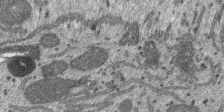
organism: Human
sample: Lung epithelial cells infected with SARS-CoV-2